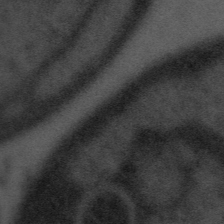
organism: Tuwongella immobilis